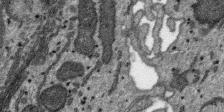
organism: Human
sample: Lung epithelial cells, uninfected (mock) control